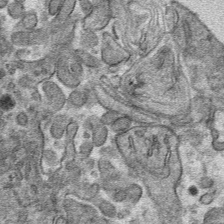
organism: Mouse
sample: Mouse hepatocytes